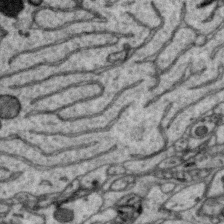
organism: Zebra finch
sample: Brain